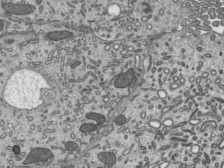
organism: Mouse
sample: Mouse epididymis efferent ductule cilia